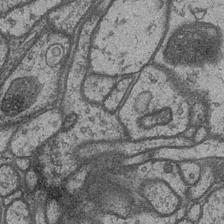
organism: Drosophila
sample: Optic medulla